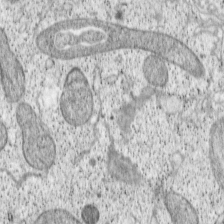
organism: African green monkey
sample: COS-7 cells